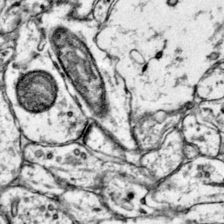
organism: Mouse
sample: Primary visual cortex